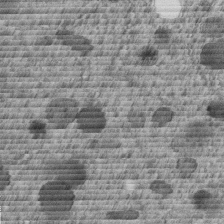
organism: C. elegans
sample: C. elegans embryo early stage